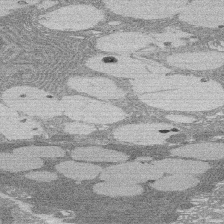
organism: Rat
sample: Salivary granule